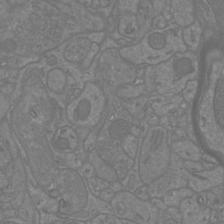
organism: Mouse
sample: Cortical neurons